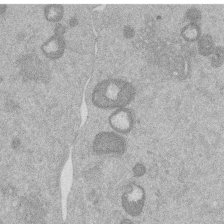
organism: Mouse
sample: Dividing mouse embryo 1 cell stage